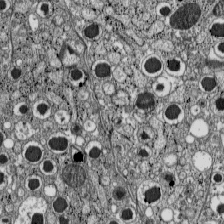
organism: C57BL Mouse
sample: Pancreatic islet